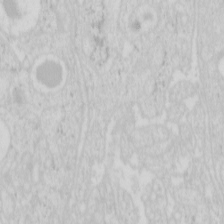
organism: Mouse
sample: Pancreas